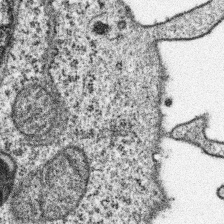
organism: Human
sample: HeLa cells